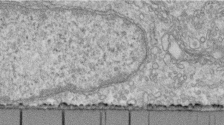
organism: Human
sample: Centriole in fibroblast cells